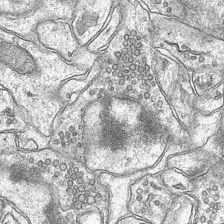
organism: Mouse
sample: CA1 Hippocampus